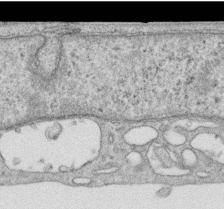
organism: Human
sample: Centriole in RPE cells